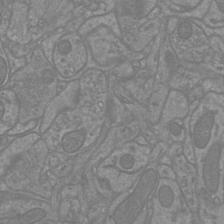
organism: Mouse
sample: Cortical neurons